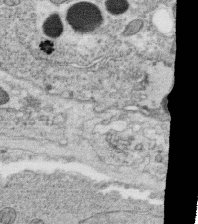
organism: C. elegans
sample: C. elegans oocyte; sperm cells